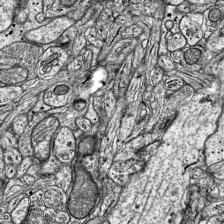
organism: Mouse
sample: Visual Cortex